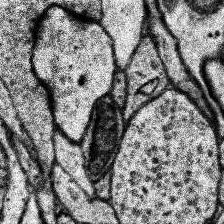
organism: Human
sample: Temporal Lobe